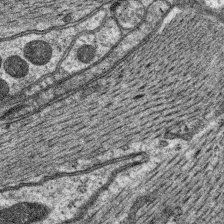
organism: C. elegans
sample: Pharynx